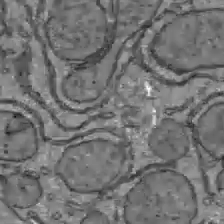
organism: C57BL Mouse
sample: Liver